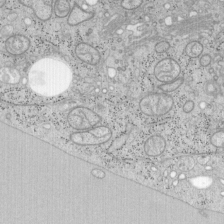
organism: Mouse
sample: OT-I killer T cells with ID8 ovarian cancer cells